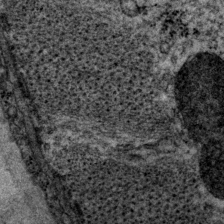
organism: P. pacificus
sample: Pharynx